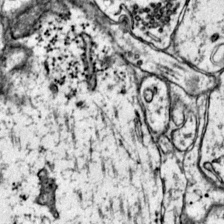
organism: Mouse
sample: Primary visual cortex